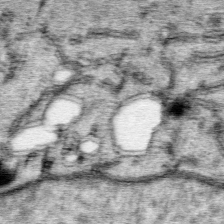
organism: Human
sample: HeLa cells